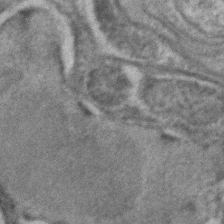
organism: C. elegans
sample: C. elegans embryo